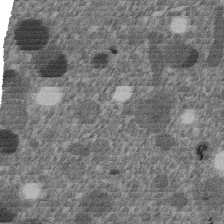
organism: C. elegans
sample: C. elegans embryo early stage